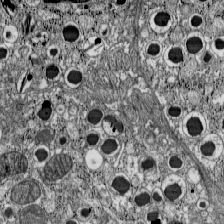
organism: C57BL Mouse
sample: Pancreatic islet